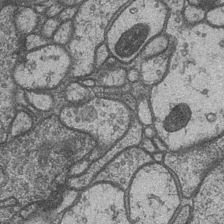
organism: Drosophila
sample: Optic medulla